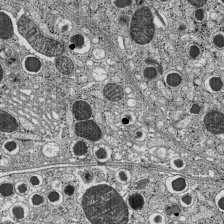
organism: C57BL Mouse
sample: Pancreatic islet